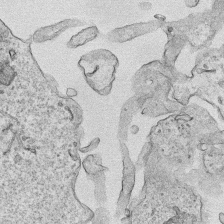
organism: Human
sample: Mitochondria in HCT116 cells